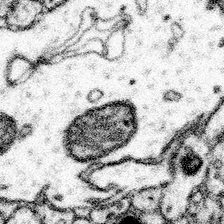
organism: Mouse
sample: Somatosensory cortex neuropil